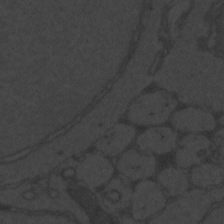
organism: Zebrafish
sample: Macrophage infected with Toxoplasma gondii